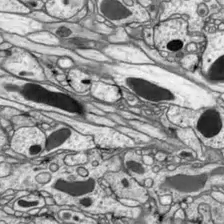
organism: Drosophila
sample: Optic lobe